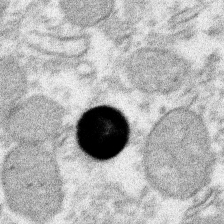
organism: Xenopus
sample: Cilia; centrioles in frog embryo cells